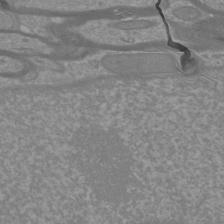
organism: Mouse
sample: Cortical neurons